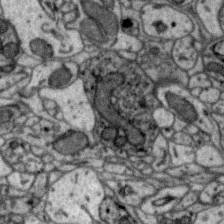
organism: Zebra finch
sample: Brain